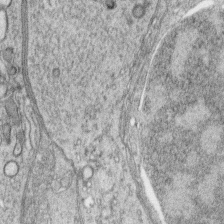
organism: Zebrafish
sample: synaptic ribbons in rod cells and cone cells